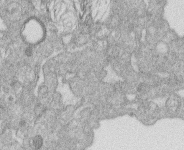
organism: Human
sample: Macrophage cells